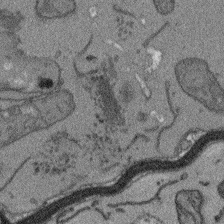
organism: Arabidopsis thaliana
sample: Root tip